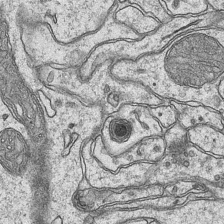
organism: Mouse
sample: CA1 Hippocampus